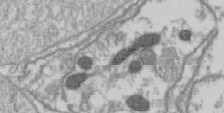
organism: Drosophila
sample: Cell division; meiosis; drosophila spermatocytes